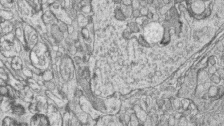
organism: Zebrafish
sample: synaptic ribbons in rod cells and cone cells